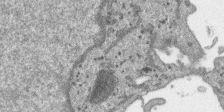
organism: Human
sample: Lung epithelial cells infected with SARS-CoV-2